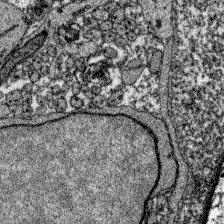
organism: Zebrafish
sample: Larval olfactory bulb